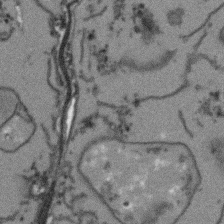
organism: Arabidopsis thaliana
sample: Root tip